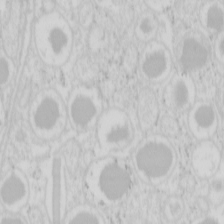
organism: Mouse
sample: Pancreas